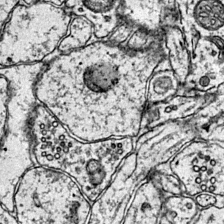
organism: Mouse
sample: Primary visual cortex